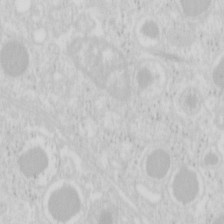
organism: Mouse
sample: Pancreas